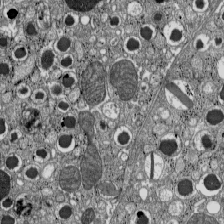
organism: C57BL Mouse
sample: Pancreatic islet